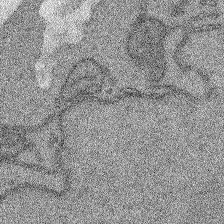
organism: Human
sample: HeLa cells